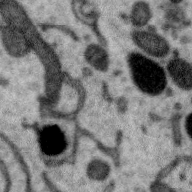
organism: Zebra finch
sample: Brain